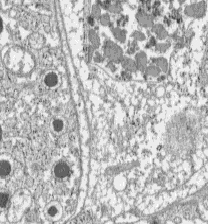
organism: C57BL Mouse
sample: Pancreatic islet